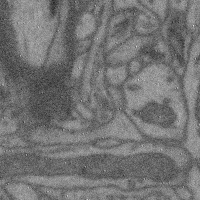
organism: Mouse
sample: Cerebral cortex